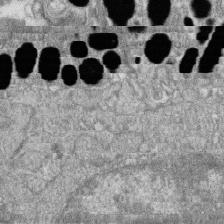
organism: Zebrafish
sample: Cilia; retinal pigment epithelium